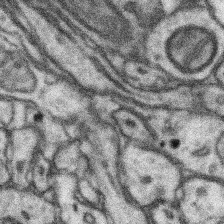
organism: Mouse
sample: Somatosensory cortex neuropil